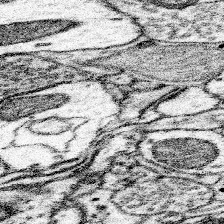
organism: Mouse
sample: Somatosensory cortex neuropil